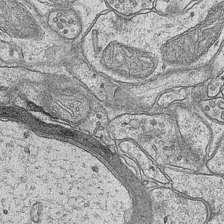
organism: Mouse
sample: CA1 Hippocampus